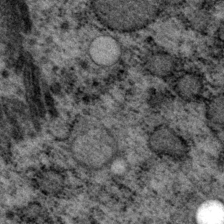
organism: P. pacificus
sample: Pharynx